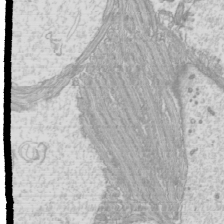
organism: Mouse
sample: Cilia; mouse epididymis